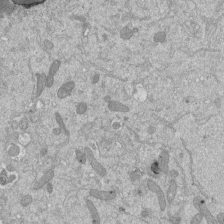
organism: Mouse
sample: ED-1 cell nuclei; centrioles